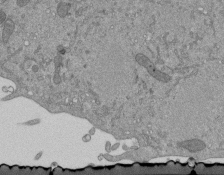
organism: Mouse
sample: ED-1 cell nuclei; centrioles